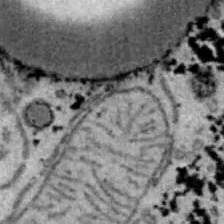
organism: Mouse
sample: Liver from an obese (ob/ob) mouse